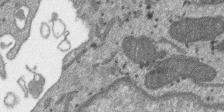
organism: Human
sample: Lung epithelial cells infected with SARS-CoV-2